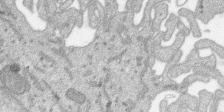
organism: Human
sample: Lung epithelial cells infected with SARS-CoV-2